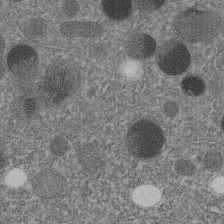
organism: C. elegans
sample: C. elegans embryo early stage